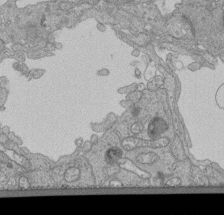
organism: Human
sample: Retinal organoid Rod and Cone cells